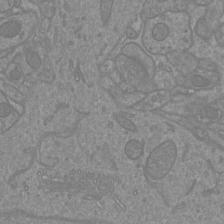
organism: Mouse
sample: Cortical neurons